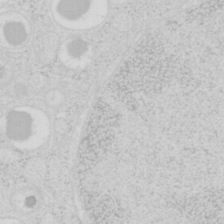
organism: Mouse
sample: Pancreas